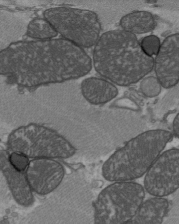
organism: C57BL Mouse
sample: Heart